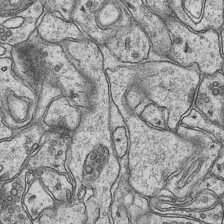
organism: Mouse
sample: CA1 Hippocampus